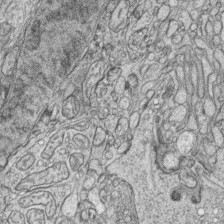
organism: Zebrafish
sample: synaptic ribbons in rod cells and cone cells